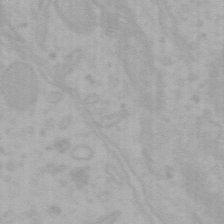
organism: Mouse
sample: Choroid plexus